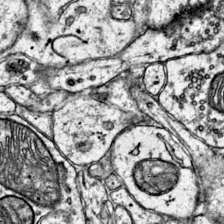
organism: Mouse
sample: Primary visual cortex